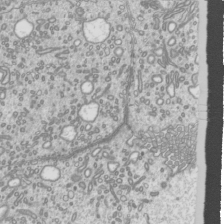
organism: Mouse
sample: Cilia; mouse epididymis